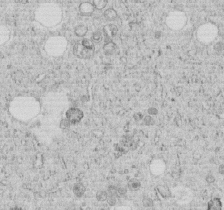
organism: C. elegans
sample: C. elegans embryo early stage